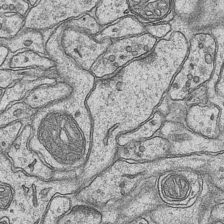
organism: Mouse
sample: CA1 Hippocampus